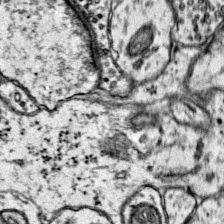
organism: Mouse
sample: Primary visual cortex